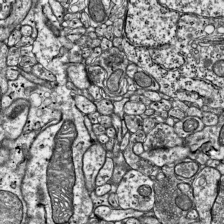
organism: Mouse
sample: Visual Cortex